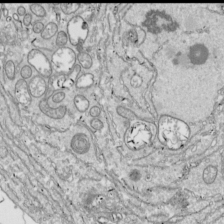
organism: Drosophila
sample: Cell division; meiosis; drosophila spermatocytes